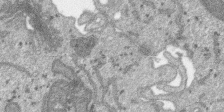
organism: Human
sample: Lung epithelial cells infected with SARS-CoV-2